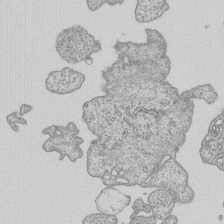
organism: Human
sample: MDA-MB-231 cells